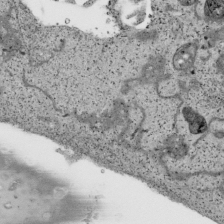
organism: Human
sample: Mitochondria in HCT116 cells